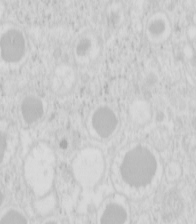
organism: Mouse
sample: Pancreas